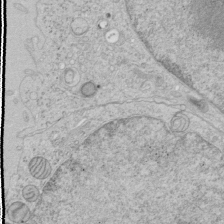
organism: Human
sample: Mitochondria in HCT116 cells